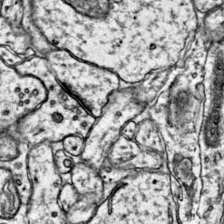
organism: Mouse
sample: Primary visual cortex